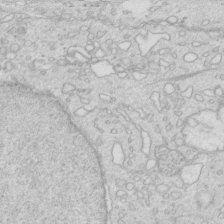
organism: Mouse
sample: Multiciliated cells